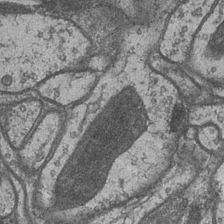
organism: Drosophila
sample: Optic medulla